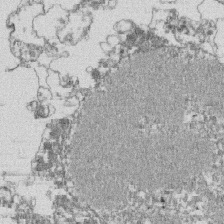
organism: Human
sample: HeLa cell HIV synapse